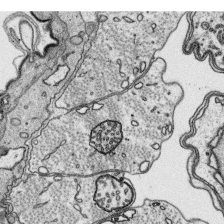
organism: Platynereis dumerilii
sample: Parapodia